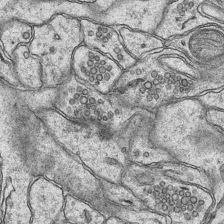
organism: Mouse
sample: CA1 Hippocampus